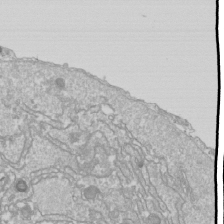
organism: Drosophila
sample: Cell division; meiosis; drosophila spermatocytes